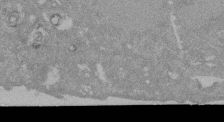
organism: Mouse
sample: ED-1 cell nuclei; centrioles